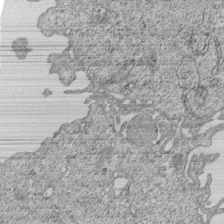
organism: Human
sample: MDA-MB-231 cells